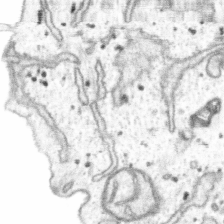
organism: Human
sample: HeLa cells